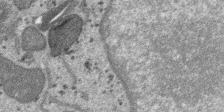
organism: Human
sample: Lung epithelial cells infected with SARS-CoV-2